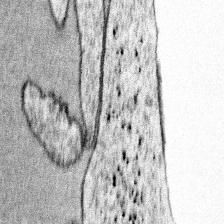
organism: Human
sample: HeLa cells